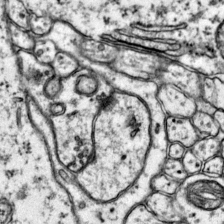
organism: Mouse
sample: Primary visual cortex